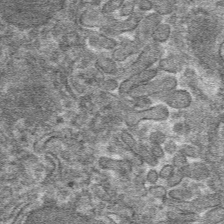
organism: Mouse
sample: Mouse hepatocytes